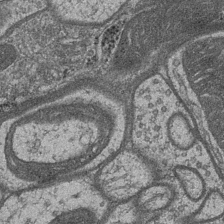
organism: Drosophila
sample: Optic medulla